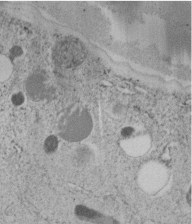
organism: C. elegans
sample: C. elegans embryo early stage